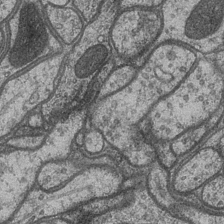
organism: Drosophila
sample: Optic medulla